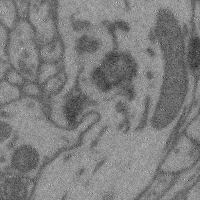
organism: Mouse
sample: Cerebral cortex